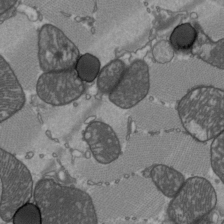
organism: C57BL Mouse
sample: Heart